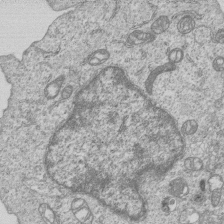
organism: Human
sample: MDA-MB-231 cells